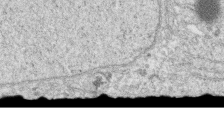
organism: Human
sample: HeLa cell HIV synapse